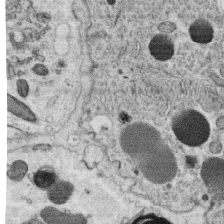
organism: C. elegans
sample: C. elegans oocyte; sperm cells